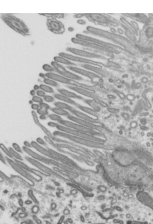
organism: Mouse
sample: Mouse epididymis efferent ductule cilia